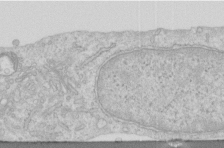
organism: Human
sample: Centriole in RPE cells